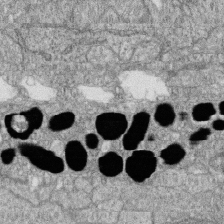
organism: Zebrafish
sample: Cilia; retinal pigment epithelium